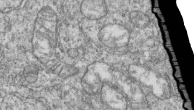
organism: Human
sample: HeLa cell HIV synapse